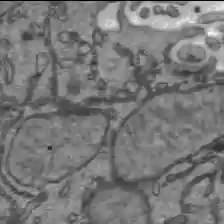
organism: C57BL Mouse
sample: Liver